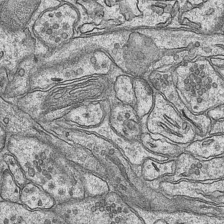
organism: Mouse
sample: CA1 Hippocampus